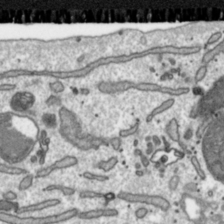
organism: Toxoplasma gondii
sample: Parasites in a vacuole inside a host cell